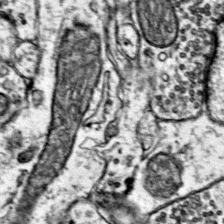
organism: Mouse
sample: Primary visual cortex